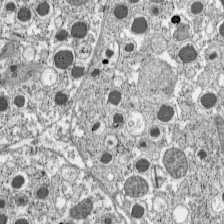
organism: C57BL Mouse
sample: Pancreatic islet